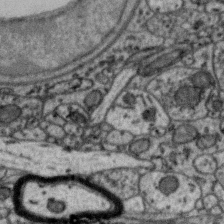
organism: Zebra finch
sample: Brain